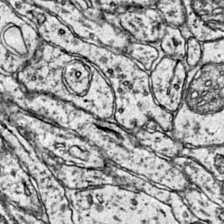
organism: Mouse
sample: Primary visual cortex